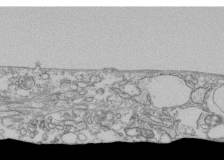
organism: Human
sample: Fibroblast cells